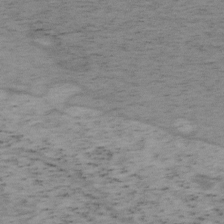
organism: Mouse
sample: OT-I killer T cells with ID8 ovarian cancer cells